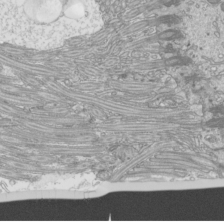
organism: Mouse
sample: Cilia; mouse epididymis